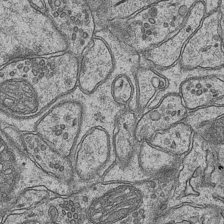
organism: Mouse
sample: CA1 Hippocampus